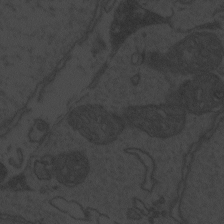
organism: Zebrafish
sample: Macrophage infected with Toxoplasma gondii